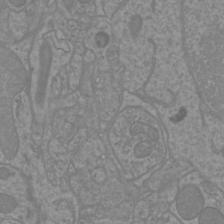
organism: Mouse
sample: Cortical neurons